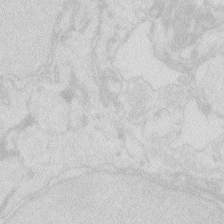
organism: Zebrafish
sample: Macrophage